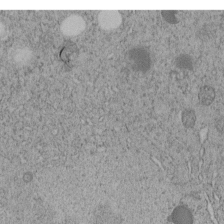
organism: C. elegans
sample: C. elegans embryo early stage